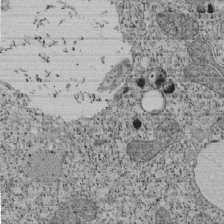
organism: Tetrahymena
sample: Cilia in tetrahymena